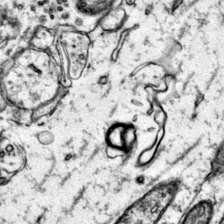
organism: Mouse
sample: Primary visual cortex